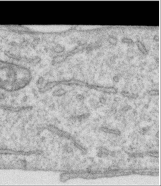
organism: Human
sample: Centriole in RPE cells